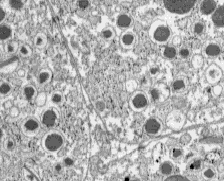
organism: C57BL Mouse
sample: Pancreatic islet